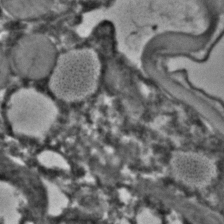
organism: C. elegans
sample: C. elegans embryo